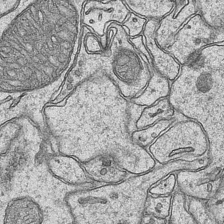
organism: Mouse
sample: CA1 Hippocampus